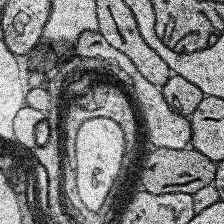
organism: Human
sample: Temporal Lobe